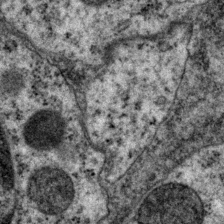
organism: P. pacificus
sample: Pharynx